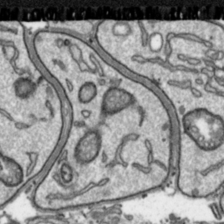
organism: Toxoplasma gondii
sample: Parasites in a vacuole inside a host cell